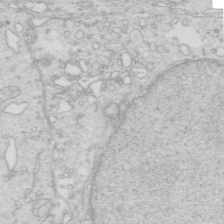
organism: Mouse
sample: Multiciliated cells